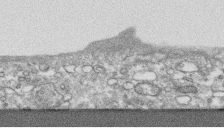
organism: Human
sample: CRL-1474